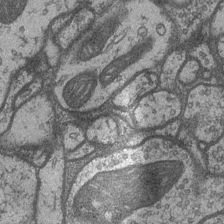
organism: Drosophila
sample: Optic medulla